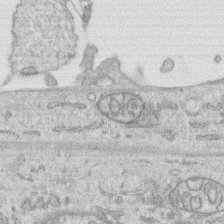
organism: Human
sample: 1205lu cells